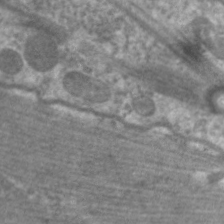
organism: C. elegans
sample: Pharynx